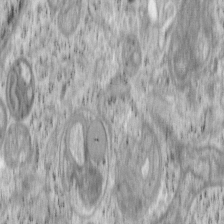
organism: Human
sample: HeLa cells